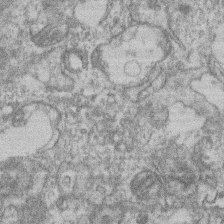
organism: Mouse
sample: T cell stromal cell synapse